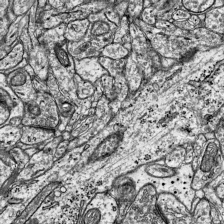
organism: Mouse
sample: Visual Cortex